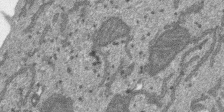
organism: Human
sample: Lung epithelial cells infected with SARS-CoV-2